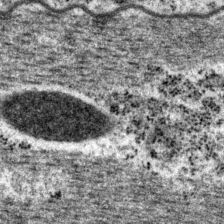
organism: P. pacificus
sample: Pharynx